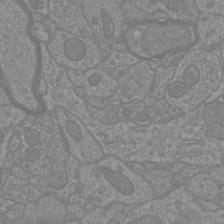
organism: Mouse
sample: Cortical neurons